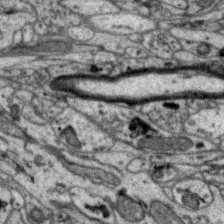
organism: Zebra finch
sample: Brain